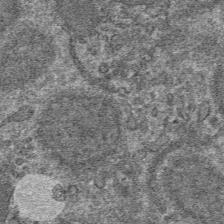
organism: Mouse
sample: Mouse hepatocytes